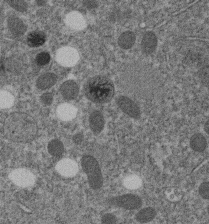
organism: C. elegans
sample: C. elegans embryo early stage